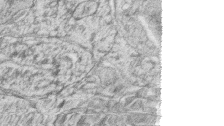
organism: Zebrafish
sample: synaptic ribbons in rod cells and cone cells